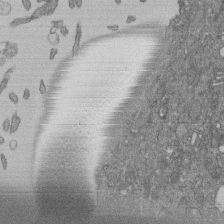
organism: Human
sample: Retinal organoid Rod and Cone cells